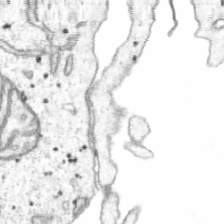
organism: Human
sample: HeLa cells